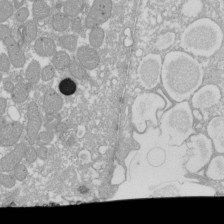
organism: Xenopus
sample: Cilia; centrioles in frog embryo cells